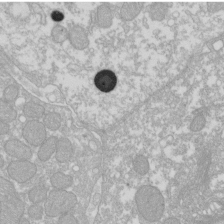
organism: Xenopus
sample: Cilia; centrioles in frog embryo cells